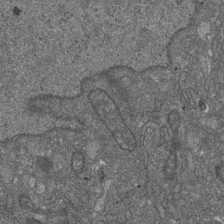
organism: Drosophila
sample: Nephrocyte